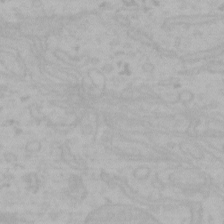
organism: Mouse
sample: Choroid plexus